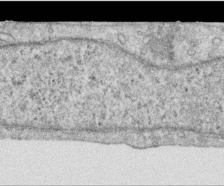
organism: Human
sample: Centriole in RPE cells